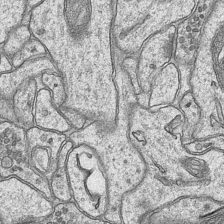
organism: Mouse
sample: CA1 Hippocampus